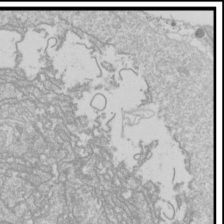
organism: Drosophila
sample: Cell division; meiosis; drosophila spermatocytes